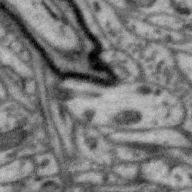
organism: Zebra finch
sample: Brain